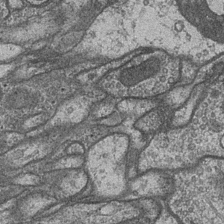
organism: Drosophila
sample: Optic medulla